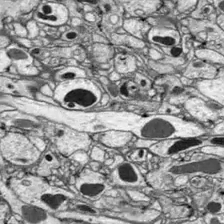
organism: Drosophila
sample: Optic lobe